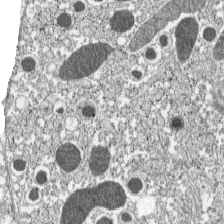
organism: C57BL Mouse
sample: Pancreatic islet